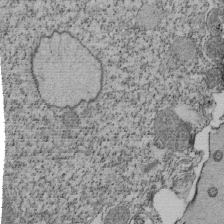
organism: Tetrahymena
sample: Cilia in tetrahymena